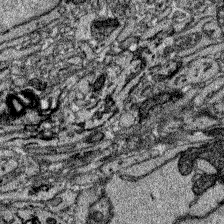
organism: Zebrafish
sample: Larval olfactory bulb